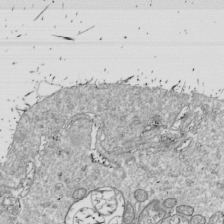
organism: Drosophila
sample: Cell division; meiosis; drosophila spermatocytes